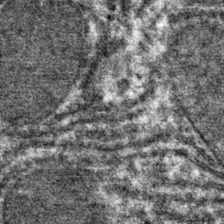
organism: Mouse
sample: Mouse hepatocytes